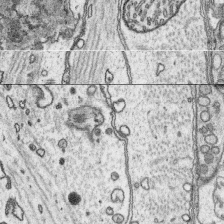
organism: Platynereis dumerilii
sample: Parapodia